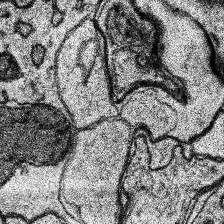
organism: Human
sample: Temporal Lobe